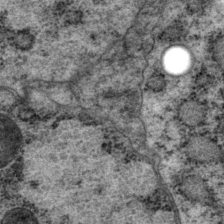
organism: P. pacificus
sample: Pharynx